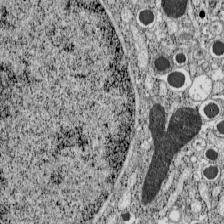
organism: C57BL Mouse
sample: Pancreatic islet